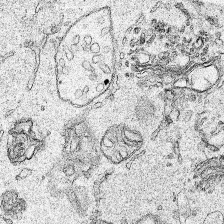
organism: Human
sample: Mitochondria in HCT116 cells